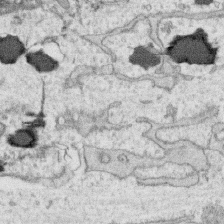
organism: Human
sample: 1205lu cells